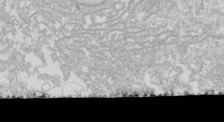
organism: Drosophila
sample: Cell division; meiosis; drosophila spermatocytes